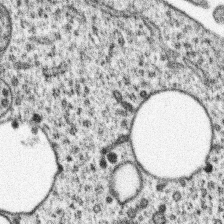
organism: Human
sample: HeLa cells